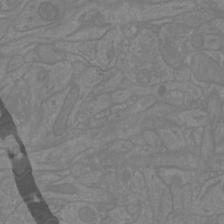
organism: Mouse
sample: Cortical neurons